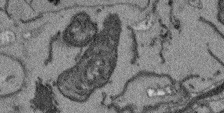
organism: Arabidopsis thaliana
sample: Root tip